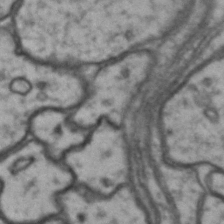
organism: Drosophila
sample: Brain